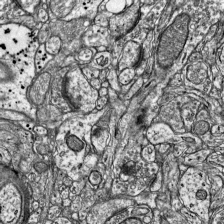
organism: Mouse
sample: Visual Cortex